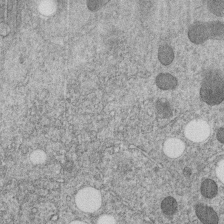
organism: C. elegans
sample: C. elegans embryo early stage